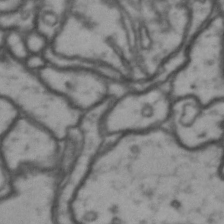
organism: Drosophila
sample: Brain